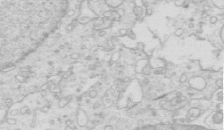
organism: Mouse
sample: Multiciliated cells